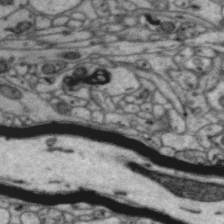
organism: Zebra finch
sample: Brain